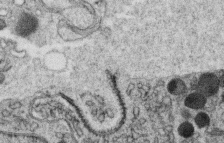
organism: C. elegans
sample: C. elegans oocyte; sperm cells